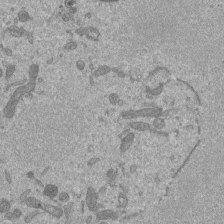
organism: Mouse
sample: ED-1 cell nuclei; centrioles